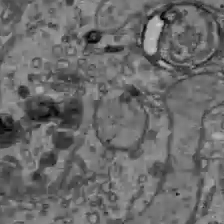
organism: C57BL Mouse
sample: Liver